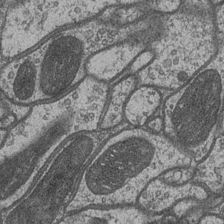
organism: Drosophila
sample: Optic medulla